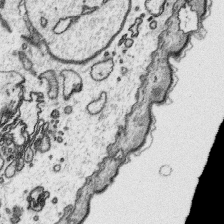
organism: Platynereis dumerilii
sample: Parapodia